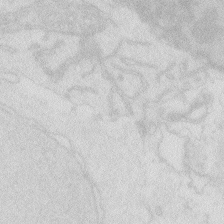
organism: Zebrafish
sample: Macrophage